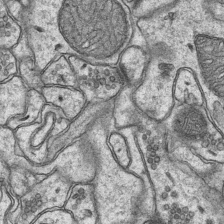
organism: Mouse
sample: CA1 Hippocampus